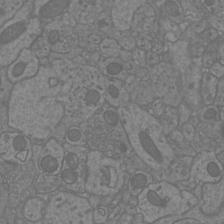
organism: Mouse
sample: Cortical neurons